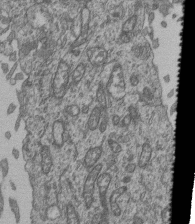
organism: Human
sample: Retinal organoid Rod and Cone cells